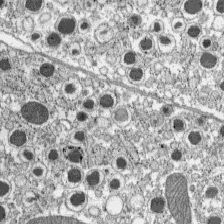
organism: C57BL Mouse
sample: Pancreatic islet